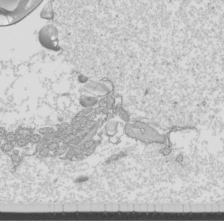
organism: Mouse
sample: Cilia; mouse epididymis